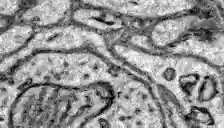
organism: Zebrafish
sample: Brain